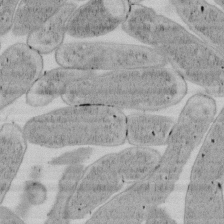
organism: E. coli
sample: Bacterial nucleoid